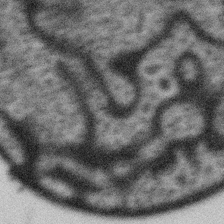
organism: Gemmata obscuriglobus